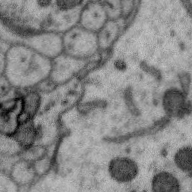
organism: Zebra finch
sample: Brain